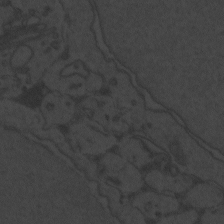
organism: Zebrafish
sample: Macrophage infected with Toxoplasma gondii